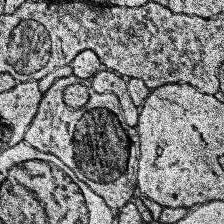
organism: Human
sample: Temporal Lobe